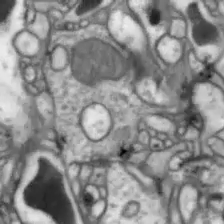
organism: Drosophila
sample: Optic lobe